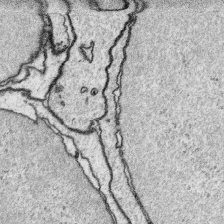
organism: Platynereis dumerilii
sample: Parapodia